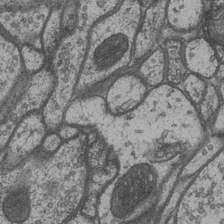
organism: Drosophila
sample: Optic medulla